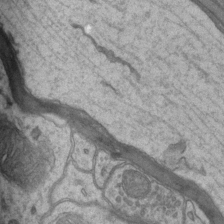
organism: Mouse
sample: CA1 Hippocampus